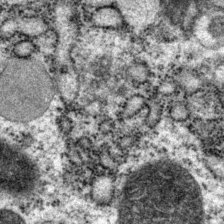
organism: P. pacificus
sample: Pharynx